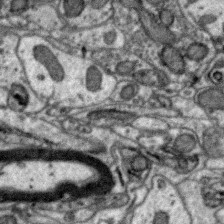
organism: Zebra finch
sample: Brain